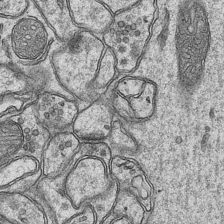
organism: Mouse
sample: CA1 Hippocampus